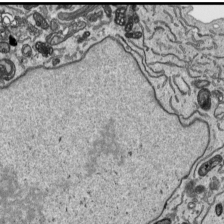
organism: Human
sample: Mitochondria in HCT116 cells